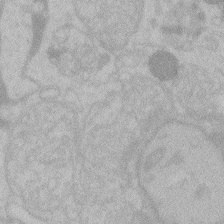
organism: Zebrafish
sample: Macrophage infected with Toxoplasma gondii